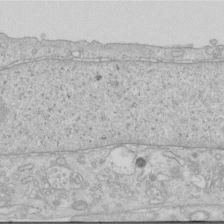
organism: Human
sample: Centriole in RPE cells